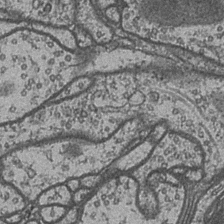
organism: Drosophila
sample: Optic medulla